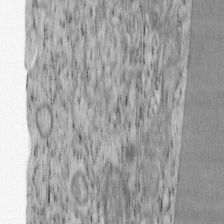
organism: Human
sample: HeLa cells